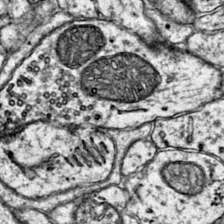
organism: Mouse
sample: Primary visual cortex